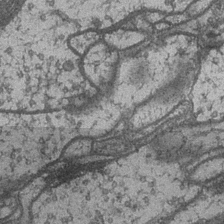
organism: Drosophila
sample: Optic medulla